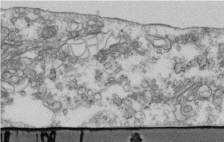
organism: Human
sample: Centriole in fibroblast cells